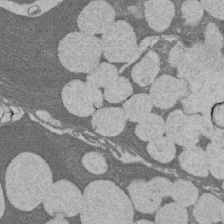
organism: Rat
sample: Salivary granule